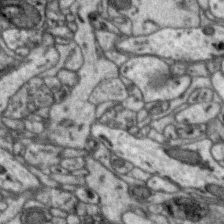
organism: Zebra finch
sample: Brain